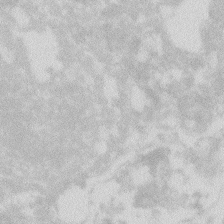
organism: Zebrafish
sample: Macrophage